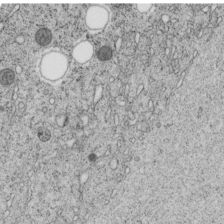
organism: C. elegans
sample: C. elegans embryo early stage